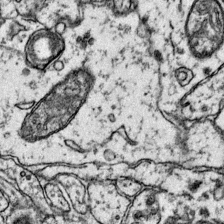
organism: Mouse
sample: Primary visual cortex